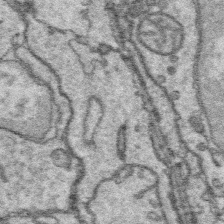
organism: Platynereis dumerilii